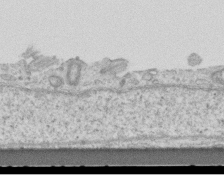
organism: Mouse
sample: Centriole in ependymal cells